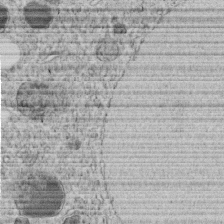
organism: C. elegans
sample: C. elegans embryo early stage